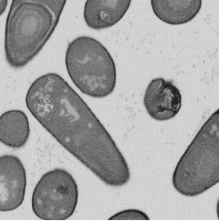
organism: B. subtilis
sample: Bacterial spore